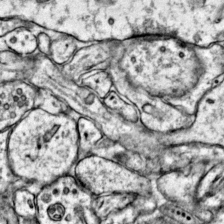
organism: Mouse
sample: Primary visual cortex